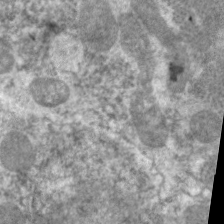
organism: C. elegans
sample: Pharynx